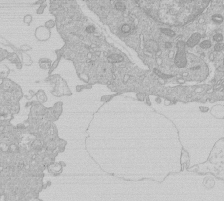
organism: Human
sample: Macrophage cells